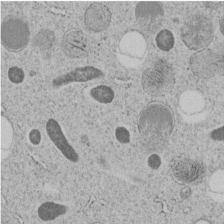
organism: C. elegans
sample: C. elegans embryo early stage